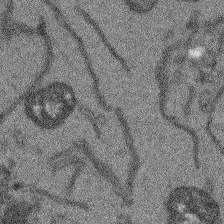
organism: Arabidopsis thaliana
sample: Root tip